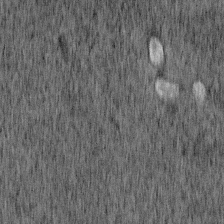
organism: Human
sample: HeLa cells